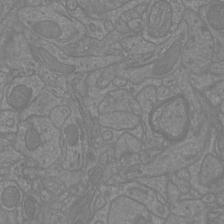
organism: Mouse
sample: Cortical neurons